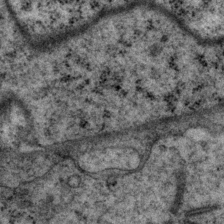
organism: P. pacificus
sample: Pharynx